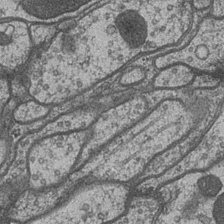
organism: Drosophila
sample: Optic medulla